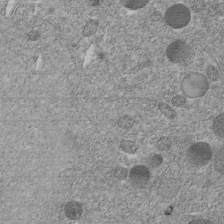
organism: C. elegans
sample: C. elegans embryo early stage